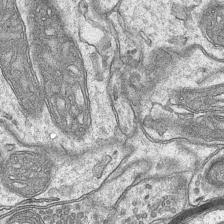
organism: Mouse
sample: CA1 Hippocampus